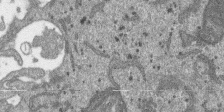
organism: Human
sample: Lung epithelial cells infected with SARS-CoV-2